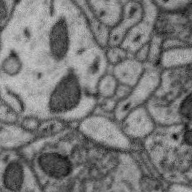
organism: Zebra finch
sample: Brain